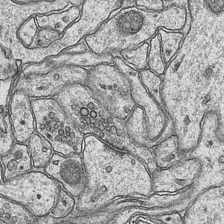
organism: Mouse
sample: CA1 Hippocampus